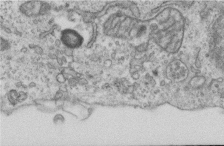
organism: Human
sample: Centriole in RPE cells